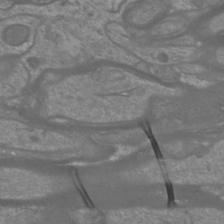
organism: Mouse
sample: Cortical neurons